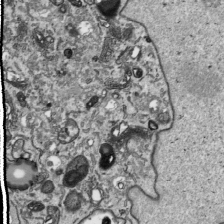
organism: Human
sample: Mitochondria in HCT116 cells